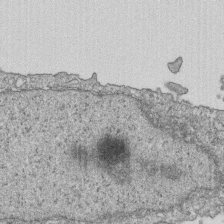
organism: Human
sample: HeLa cell HIV synapse